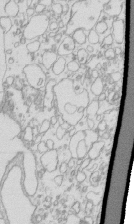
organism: Mouse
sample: Macrophages